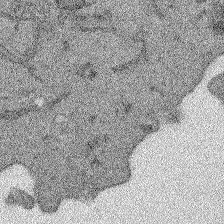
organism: Human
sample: HeLa cells